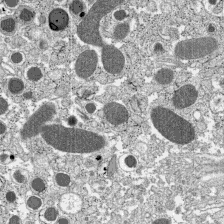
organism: C57BL Mouse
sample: Pancreatic islet